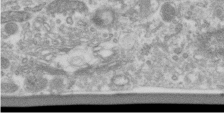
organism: Human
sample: Centriole in RPE cells